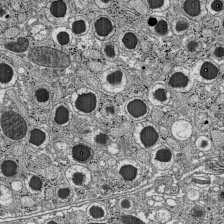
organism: C57BL Mouse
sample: Pancreatic islet